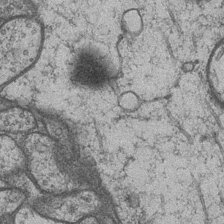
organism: Drosophila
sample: Optic medulla